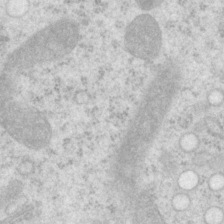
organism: P. pacificus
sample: Pharynx